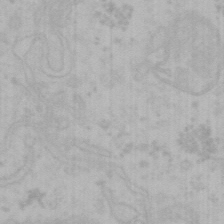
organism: Mouse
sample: Choroid plexus